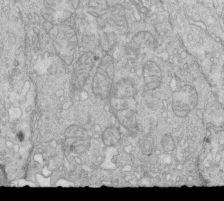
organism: Mouse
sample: Multiciliated cells